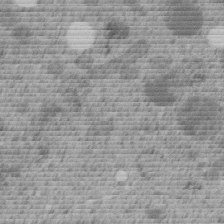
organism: C. elegans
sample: C. elegans embryo early stage